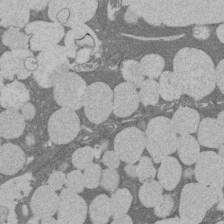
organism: Rat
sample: Salivary granule